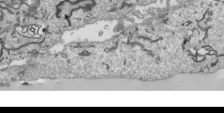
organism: Human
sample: Mitochondria in HCT116 cells